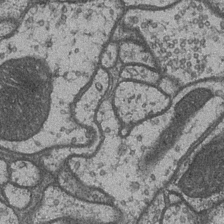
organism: Drosophila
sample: Optic medulla